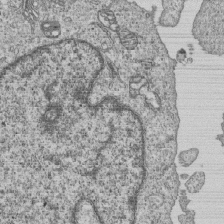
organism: Human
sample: MDA-MB-231 cells